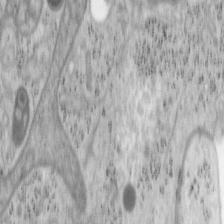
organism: Human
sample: HeLa cells